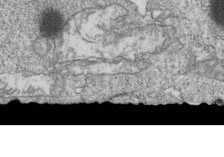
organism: Human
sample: HeLa cell HIV synapse